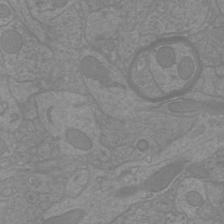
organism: Mouse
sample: Cortical neurons